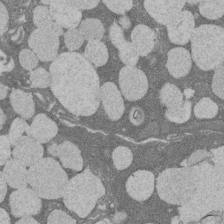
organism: Rat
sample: Salivary granule